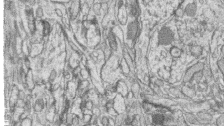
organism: Zebrafish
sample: synaptic ribbons in rod cells and cone cells